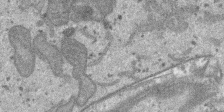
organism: Human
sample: Lung epithelial cells infected with SARS-CoV-2